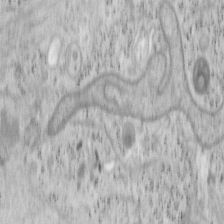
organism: Human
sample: HeLa cells